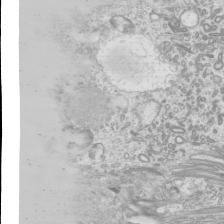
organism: Mouse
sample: Cilia; mouse epididymis